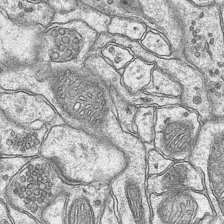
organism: Mouse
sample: CA1 Hippocampus